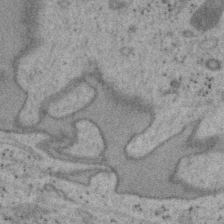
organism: Human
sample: HeLa cells